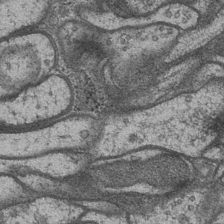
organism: Drosophila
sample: Optic medulla